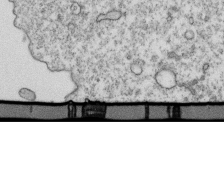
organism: Mouse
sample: Activated OT-1 CD8+ T cells